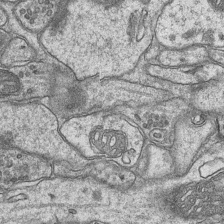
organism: Mouse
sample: CA1 Hippocampus